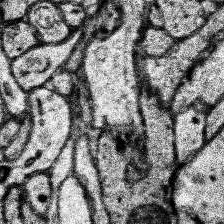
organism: Human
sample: Temporal Lobe